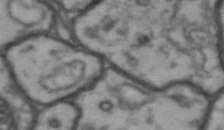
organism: Drosophila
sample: Brain